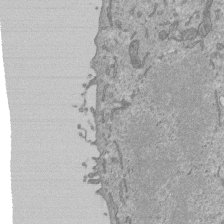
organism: Mouse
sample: ED-1 cell nuclei; centrioles